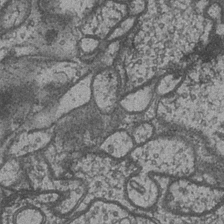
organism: Drosophila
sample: Optic medulla